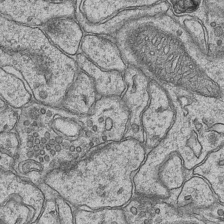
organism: Mouse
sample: CA1 Hippocampus